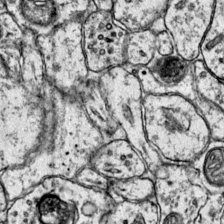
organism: Mouse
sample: Primary visual cortex